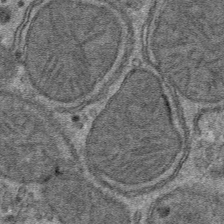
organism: Mouse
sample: Mouse hepatocytes